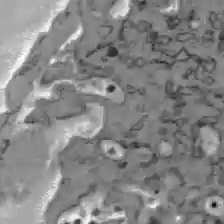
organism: C57BL Mouse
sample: Liver